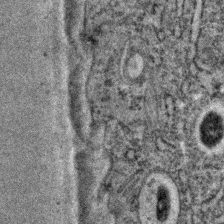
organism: C. elegans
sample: C. elegans embryo